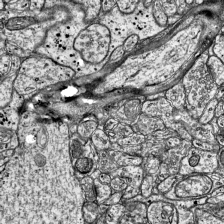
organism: Mouse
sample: Visual Cortex